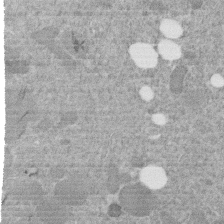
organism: C. elegans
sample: C. elegans embryo early stage